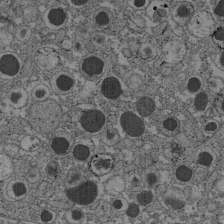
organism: C57BL Mouse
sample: Pancreatic islet